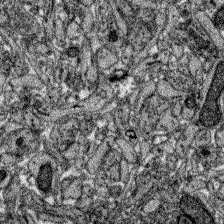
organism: Zebrafish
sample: Larval olfactory bulb